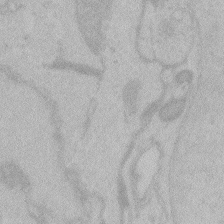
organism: Zebrafish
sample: Macrophage infected with Toxoplasma gondii